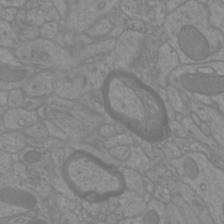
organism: Mouse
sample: Cortical neurons